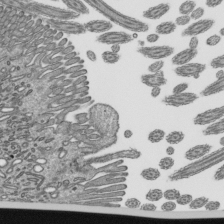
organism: Mouse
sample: Mouse epididymis efferent ductule cilia